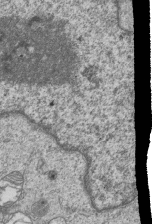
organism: Human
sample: MDA-MB-231 cells